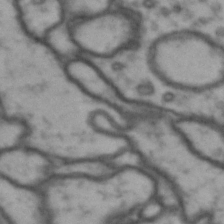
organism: Drosophila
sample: Brain